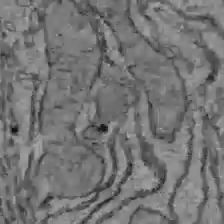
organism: C57BL Mouse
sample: Liver